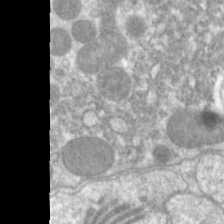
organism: C. elegans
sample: Pharynx